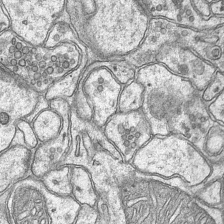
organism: Mouse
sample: CA1 Hippocampus